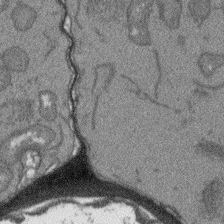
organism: Arabidopsis thaliana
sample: Root tip